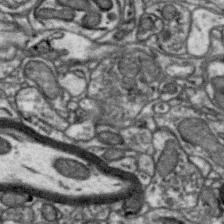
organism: Zebra finch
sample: Brain